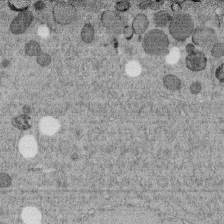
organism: C. elegans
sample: C. elegans embryo early stage